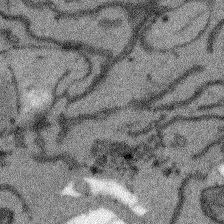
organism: Arabidopsis thaliana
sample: Root tip